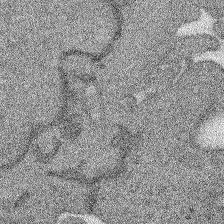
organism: Human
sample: HeLa cells